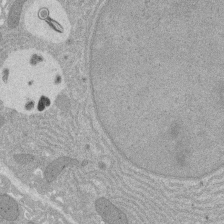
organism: Rat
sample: Salivary granule